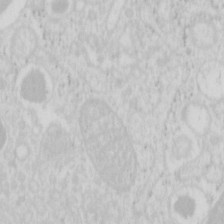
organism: Mouse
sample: Pancreas